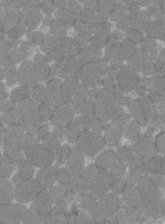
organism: C57BL Mouse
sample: Tibialis anterior muscle cell